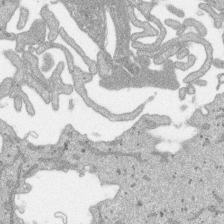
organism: Human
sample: Lung epithelial cells infected with SARS-CoV-2